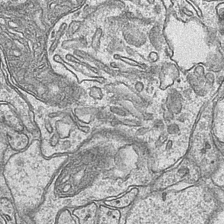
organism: Mouse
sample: CA1 Hippocampus